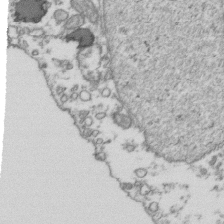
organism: Human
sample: Activated Jurkat CD4+ T cells